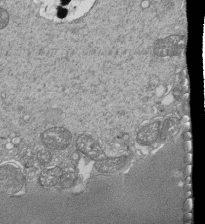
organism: Tetrahymena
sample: Cilia in tetrahymena